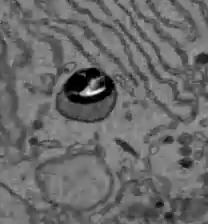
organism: C57BL Mouse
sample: Liver